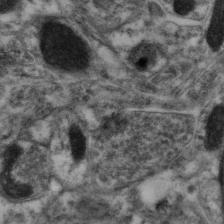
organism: Mouse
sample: Neocortex